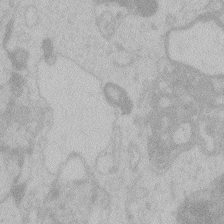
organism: Zebrafish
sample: Macrophage infected with Toxoplasma gondii